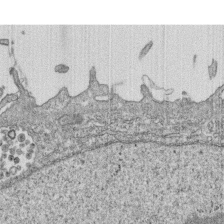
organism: Human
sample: HeLa cell HIV synapse